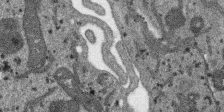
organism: Human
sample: Lung epithelial cells infected with SARS-CoV-2